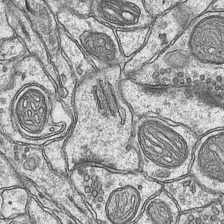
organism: Mouse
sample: CA1 Hippocampus